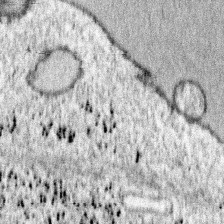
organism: Human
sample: HeLa cells